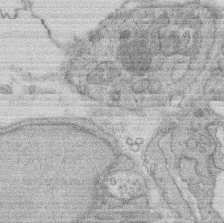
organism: Rat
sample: Salivary granule